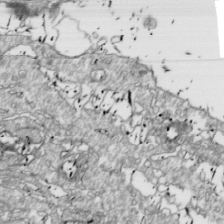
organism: Drosophila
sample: Cell division; meiosis; drosophila spermatocytes